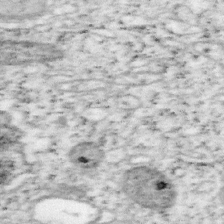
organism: Mouse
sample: OT-I killer T cells with ID8 ovarian cancer cells